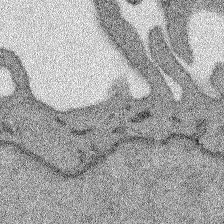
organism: Human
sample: HeLa cells